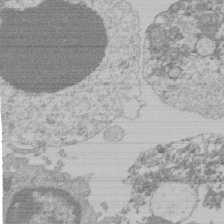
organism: Mouse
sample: Activated Pmel transgenic CD8+ T Cells